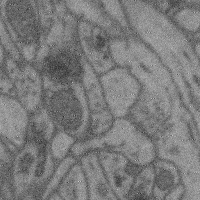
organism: Mouse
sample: Cerebral cortex